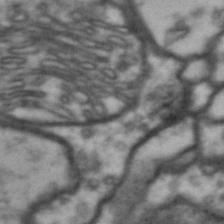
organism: Drosophila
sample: Brain